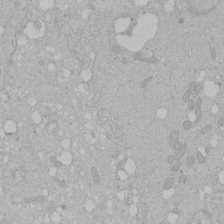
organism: Human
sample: Melanocyte Keratinocyte synapse skin construct